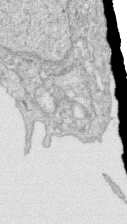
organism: Human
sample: HeLa cell HIV synapse